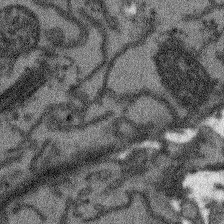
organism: Arabidopsis thaliana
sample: Root tip